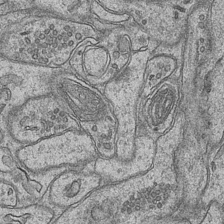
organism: Mouse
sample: CA1 Hippocampus